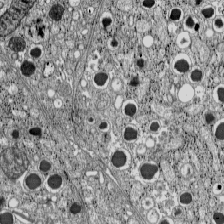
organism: C57BL Mouse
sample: Pancreatic islet